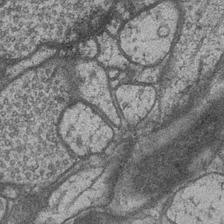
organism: Drosophila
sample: Optic medulla